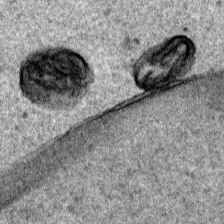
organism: Human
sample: Mitochondria in HCT116 cells